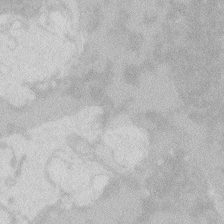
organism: Zebrafish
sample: Macrophage